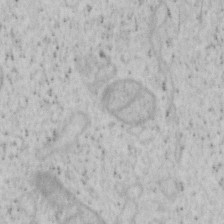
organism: Human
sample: HeLa cells